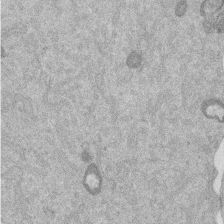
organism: Mouse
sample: Dividing mouse embryo 1 cell stage